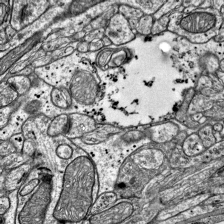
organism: Mouse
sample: Visual Cortex